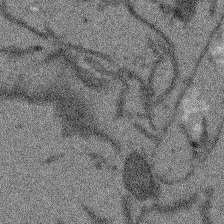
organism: Arabidopsis thaliana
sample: Root tip